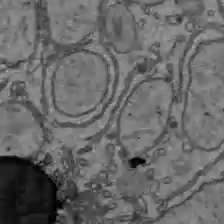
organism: C57BL Mouse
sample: Liver